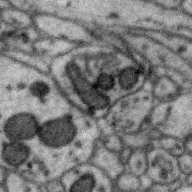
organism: Zebra finch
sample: Brain